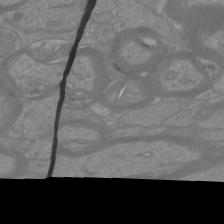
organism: Mouse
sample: Cortical neurons